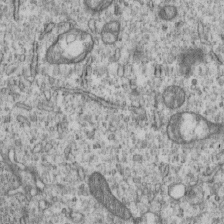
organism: Human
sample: MDA-MB-231 cells